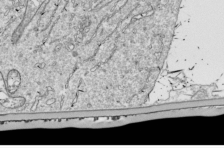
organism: Drosophila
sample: Cell division; meiosis; drosophila spermatocytes